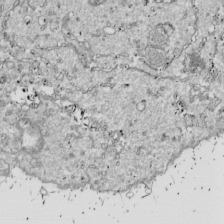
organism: Drosophila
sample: Cell division; meiosis; drosophila spermatocytes